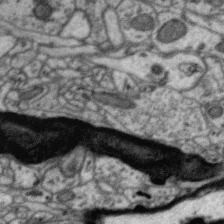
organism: Zebra finch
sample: Brain